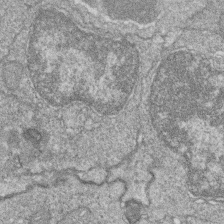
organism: Zebrafish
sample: Cilia; retinal pigment epithelium